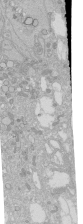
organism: Human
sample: Caco-2 cells